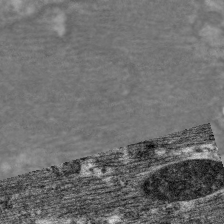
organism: C. elegans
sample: Pharynx